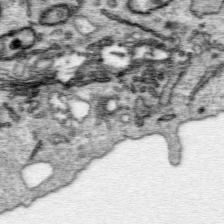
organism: Human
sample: HeLa cells